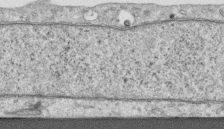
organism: Human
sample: Centriole in RPE cells